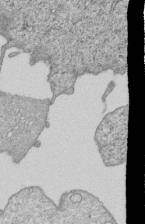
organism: Human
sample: MDA-MB-231 cells